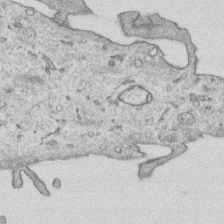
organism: Human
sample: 1205lu cells